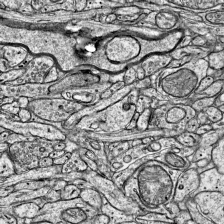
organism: Mouse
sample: Visual Cortex